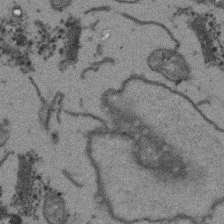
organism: Arabidopsis thaliana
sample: Root tip